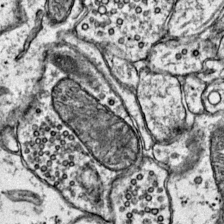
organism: Mouse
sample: Primary visual cortex